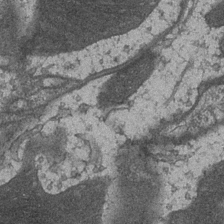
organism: Drosophila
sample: Optic medulla